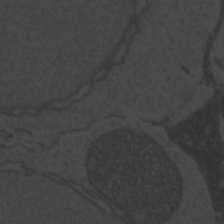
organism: Zebrafish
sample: Macrophage infected with Toxoplasma gondii